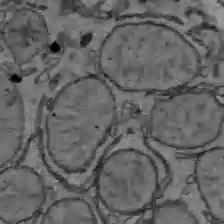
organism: C57BL Mouse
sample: Liver